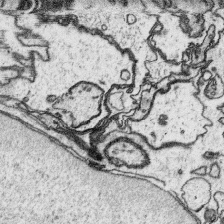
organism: Platynereis dumerilii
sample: Parapodia